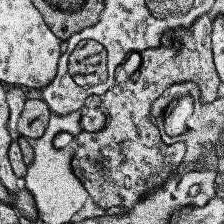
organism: Human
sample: Temporal Lobe